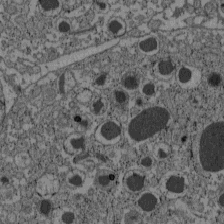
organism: C57BL Mouse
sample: Pancreatic islet